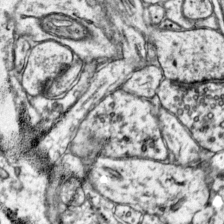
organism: Mouse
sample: Primary visual cortex